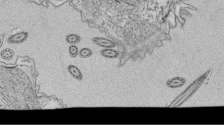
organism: Tetrahymena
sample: Cilia in tetrahymena